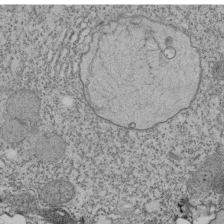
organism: Tetrahymena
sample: Cilia in tetrahymena